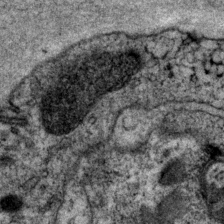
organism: P. pacificus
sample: Pharynx